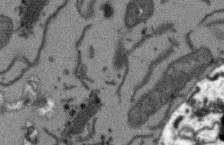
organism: Arabidopsis thaliana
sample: Root tip